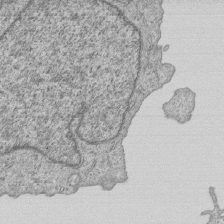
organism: Human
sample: MDA-MB-231 cells